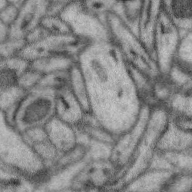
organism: Zebra finch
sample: Brain